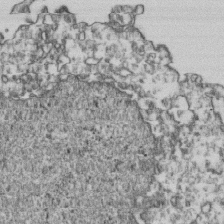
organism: Human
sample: Activated Jurkat CD4+ T cells